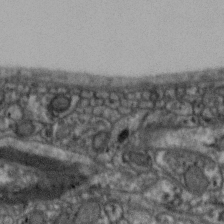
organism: Zebra finch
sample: Brain